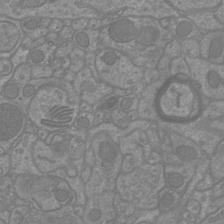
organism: Mouse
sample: Cortical neurons